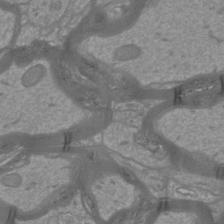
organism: Mouse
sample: Cortical neurons